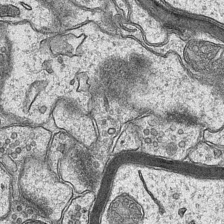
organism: Mouse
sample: CA1 Hippocampus